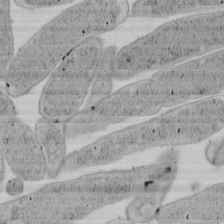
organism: E. coli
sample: Bacterial nucleoid